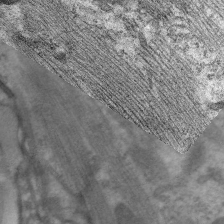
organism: C. elegans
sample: Pharynx